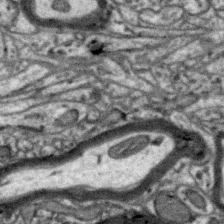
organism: Zebra finch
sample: Brain